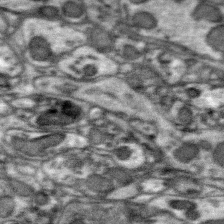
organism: Zebra finch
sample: Brain